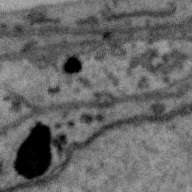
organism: Zebra finch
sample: Brain